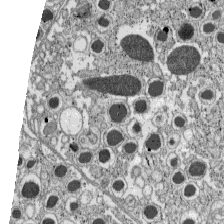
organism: C57BL Mouse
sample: Pancreatic islet